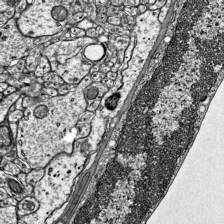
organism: Mouse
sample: Visual Cortex